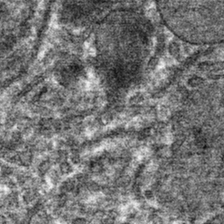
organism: Mouse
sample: Mouse hepatocytes